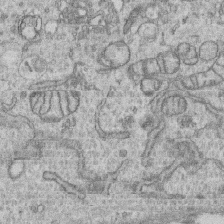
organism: Human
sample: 1205lu cells